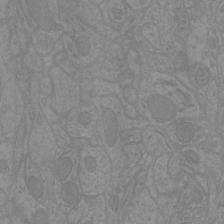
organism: Mouse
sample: Cortical neurons